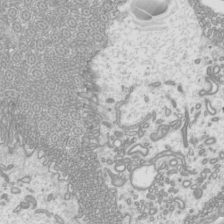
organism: Mouse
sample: Cilia; mouse epididymis